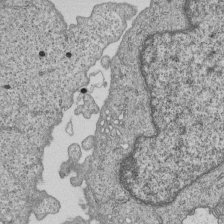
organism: Human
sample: MDA-MB-231 cells